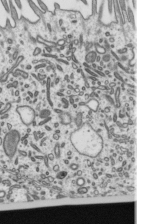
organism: Mouse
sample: Mouse epididymis efferent ductule cilia